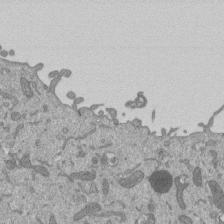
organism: Mouse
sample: ED-1 cell nuclei; centrioles